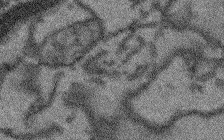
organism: Arabidopsis thaliana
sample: Root tip